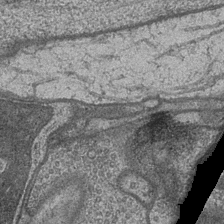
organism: Drosophila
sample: Optic medulla